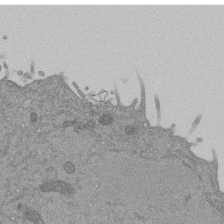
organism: Mouse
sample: ED-1 cell nuclei; centrioles